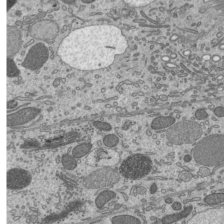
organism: Mouse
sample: Mouse epididymis efferent ductule cilia